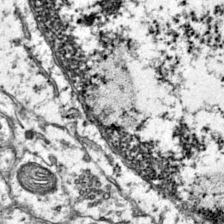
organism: Mouse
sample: Primary visual cortex